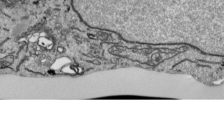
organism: Human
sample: Mitochondria in HCT116 cells